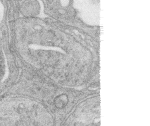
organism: Zebrafish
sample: synaptic ribbons in rod cells and cone cells